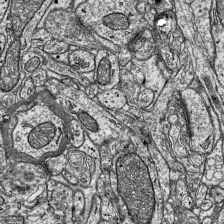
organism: Mouse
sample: Visual Cortex